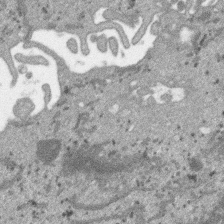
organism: Human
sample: Lung epithelial cells infected with SARS-CoV-2